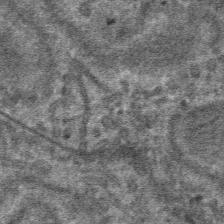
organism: Mouse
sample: Mouse hepatocytes